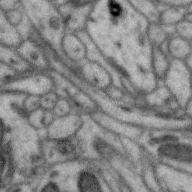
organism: Zebra finch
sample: Brain